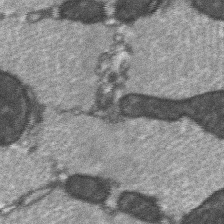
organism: C57BL Mouse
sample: Soleus